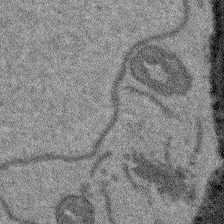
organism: Arabidopsis thaliana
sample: Root tip